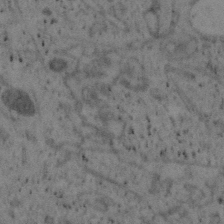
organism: Human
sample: HeLa cells